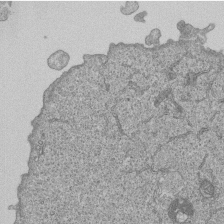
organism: Human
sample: MDA-MB-231 cells